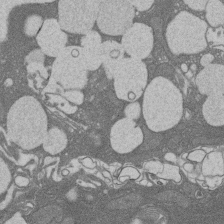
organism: Rat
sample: Salivary granule